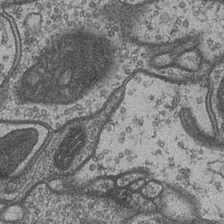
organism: Drosophila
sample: Optic medulla